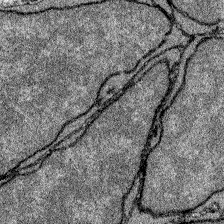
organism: Zebrafish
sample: Larval olfactory bulb